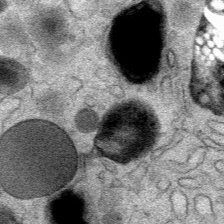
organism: Mouse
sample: Mouse Salivary gland